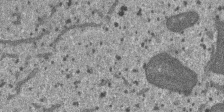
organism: Human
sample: Lung epithelial cells infected with SARS-CoV-2